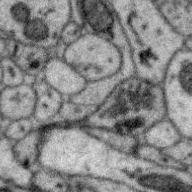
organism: Zebra finch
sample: Brain